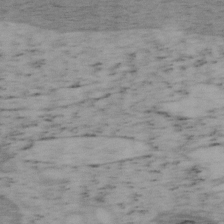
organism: Mouse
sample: OT-I killer T cells with ID8 ovarian cancer cells